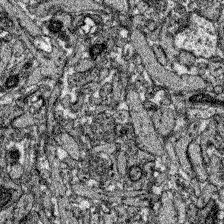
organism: Zebrafish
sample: Larval olfactory bulb